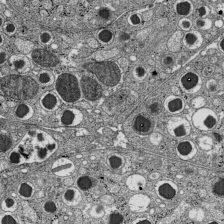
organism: C57BL Mouse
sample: Pancreatic islet